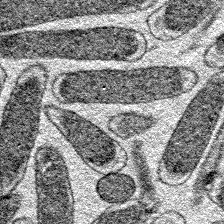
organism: E. coli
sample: E. Coli Bacteria